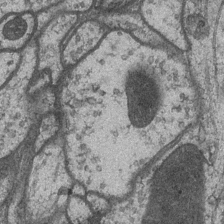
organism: Drosophila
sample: Optic medulla